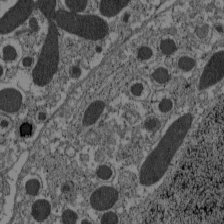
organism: C57BL Mouse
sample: Pancreatic islet